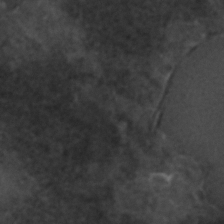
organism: C. elegans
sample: C. elegans embryo